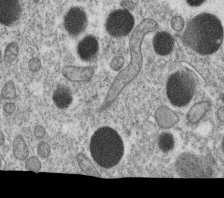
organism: C. elegans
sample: C. elegans oocyte; sperm cells